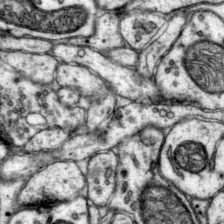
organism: Mouse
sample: Primary visual cortex